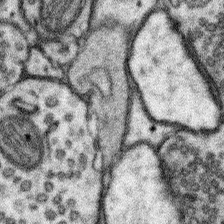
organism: Mouse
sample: Somatosensory cortex neuropil